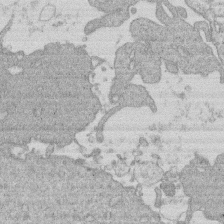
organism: Human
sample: Macrophage cells